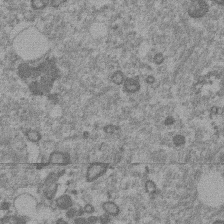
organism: Mouse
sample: Dividing mouse embryo 1 cell stage